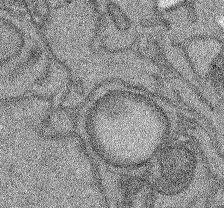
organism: Human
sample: HeLa cells